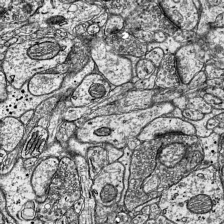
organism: Mouse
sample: Visual Cortex